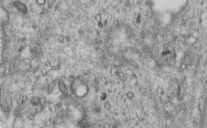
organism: Human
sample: Centriole in RPE cells